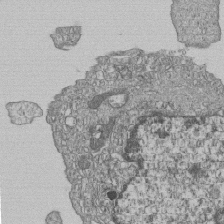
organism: Human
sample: MDA-MB-231 cells